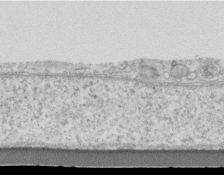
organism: Mouse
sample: Centriole in ependymal cells